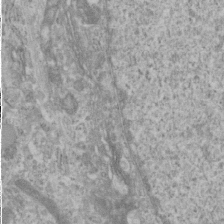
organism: Human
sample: Cilia; basal body in RPE cells